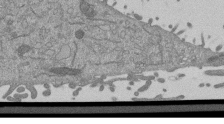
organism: Mouse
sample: ED-1 cell nuclei; centrioles